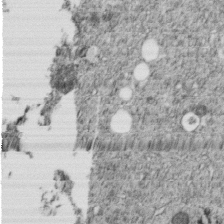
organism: C. elegans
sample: C. elegans embryo early stage